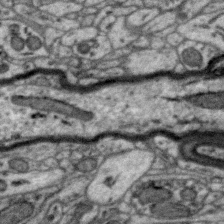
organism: Zebra finch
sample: Brain